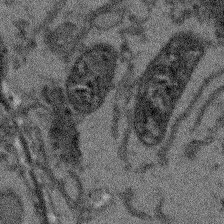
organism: Arabidopsis thaliana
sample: Root tip